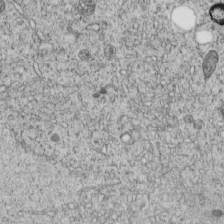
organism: C. elegans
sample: C. elegans embryo early stage